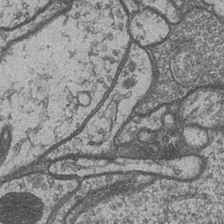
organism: Drosophila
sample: Optic medulla